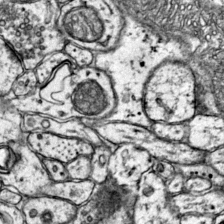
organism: Mouse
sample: Primary visual cortex